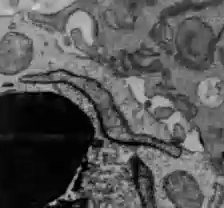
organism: C57BL Mouse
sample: Liver